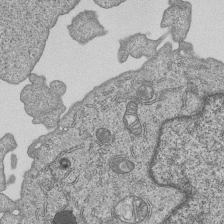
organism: Human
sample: MDA-MB-231 cells